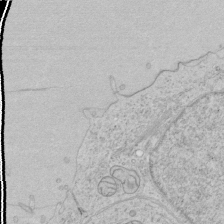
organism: Human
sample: Mitochondria in HCT116 cells